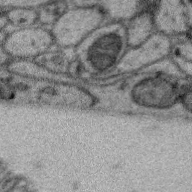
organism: Zebra finch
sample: Brain